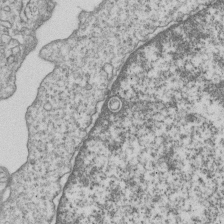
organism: Human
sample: MDA-MB-231 cells